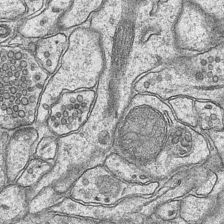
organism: Mouse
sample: CA1 Hippocampus